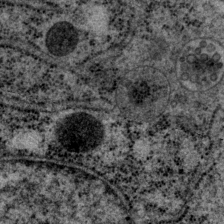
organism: P. pacificus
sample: Pharynx